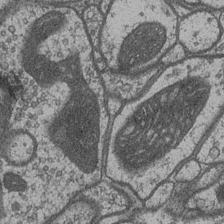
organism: Drosophila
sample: Optic medulla